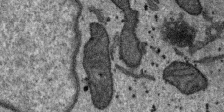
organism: Human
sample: Lung epithelial cells, uninfected (mock) control